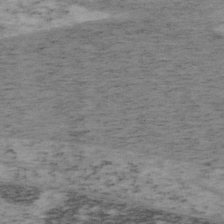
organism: Mouse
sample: OT-I killer T cells with ID8 ovarian cancer cells